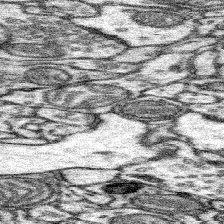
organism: Mouse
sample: Somatosensory cortex neuropil